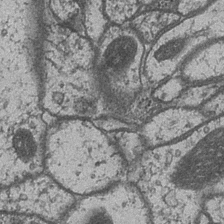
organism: Drosophila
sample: Optic medulla